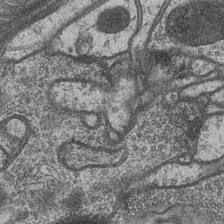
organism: Drosophila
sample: Optic medulla